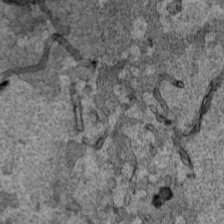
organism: Human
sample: Mitochondria in HCT116 cells